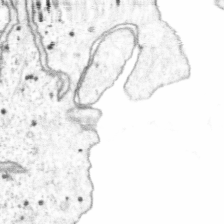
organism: Human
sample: HeLa cells